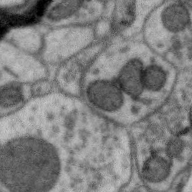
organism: Zebra finch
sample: Brain